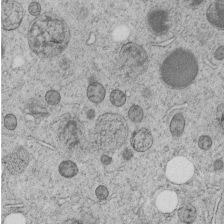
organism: C. elegans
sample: C. elegans embryo early stage